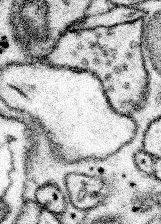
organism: Mouse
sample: Somatosensory cortex neuropil